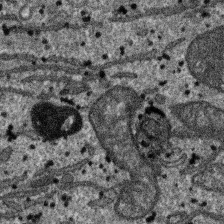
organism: Human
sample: Lung epithelial cells infected with SARS-CoV-2